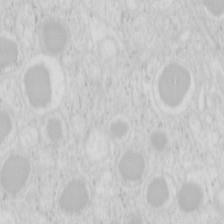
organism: Mouse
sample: Pancreas